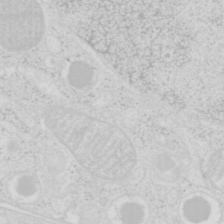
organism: Mouse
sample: Pancreas